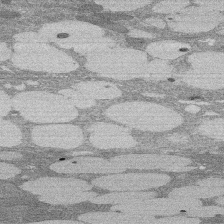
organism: Rat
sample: Salivary granule